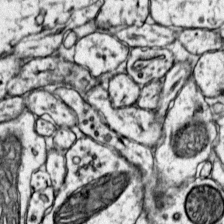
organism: Mouse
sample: Primary visual cortex